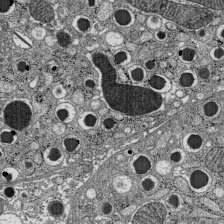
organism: C57BL Mouse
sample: Pancreatic islet